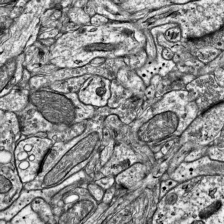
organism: Mouse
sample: Visual Cortex